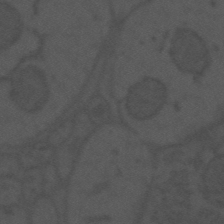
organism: Mouse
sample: Suprachiasmatic nucleus